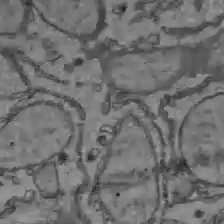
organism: C57BL Mouse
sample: Liver